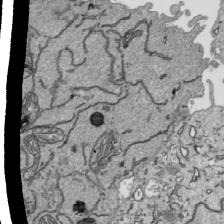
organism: Human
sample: Mitochondria in HCT116 cells